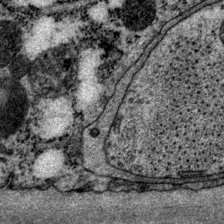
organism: P. pacificus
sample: Pharynx